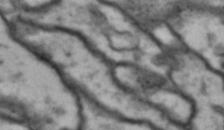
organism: Drosophila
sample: Brain